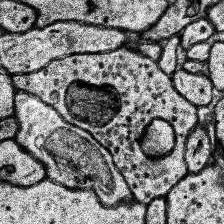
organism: Human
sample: Temporal Lobe